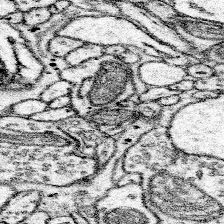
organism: Mouse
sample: Somatosensory cortex neuropil